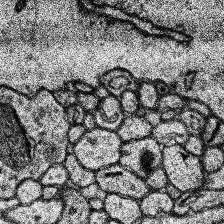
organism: Human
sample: Temporal Lobe